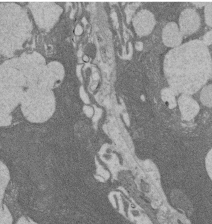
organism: Rat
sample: Salivary granule